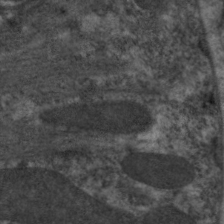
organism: C. elegans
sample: Pharynx